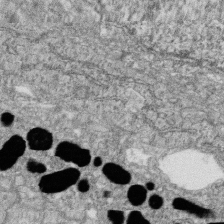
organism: Zebrafish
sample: Cilia; retinal pigment epithelium